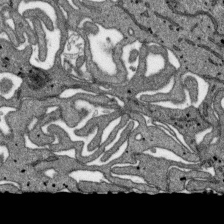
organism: Human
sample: Lung epithelial cells, uninfected (mock) control